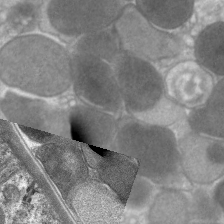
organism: C. elegans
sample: Pharynx